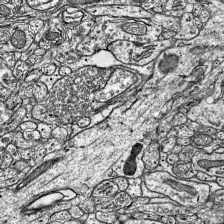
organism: Mouse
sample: Visual Cortex